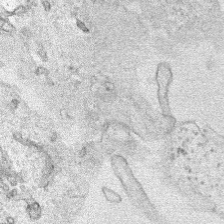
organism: Human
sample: Mitochondria in HCT116 cells